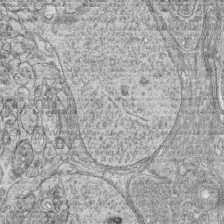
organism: Zebrafish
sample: synaptic ribbons in rod cells and cone cells